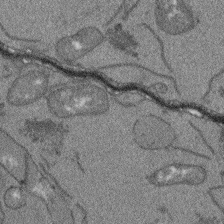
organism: Arabidopsis thaliana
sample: Root tip